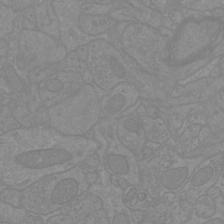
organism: Mouse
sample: Cortical neurons